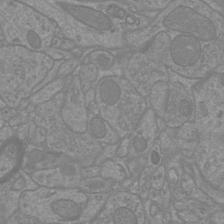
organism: Mouse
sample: Cortical neurons